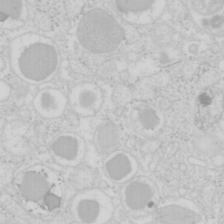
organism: Mouse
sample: Pancreas